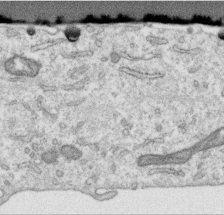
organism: Human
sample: Centriole in RPE cells